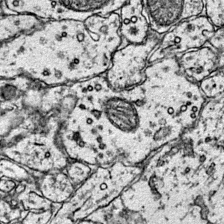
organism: Mouse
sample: Primary visual cortex